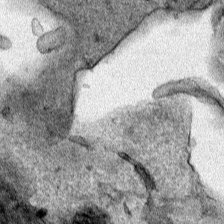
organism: Human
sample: Mitochondria in HCT116 cells